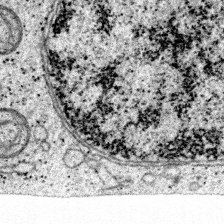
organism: Human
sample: HeLa cells